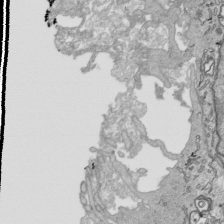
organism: Human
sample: Mitochondria in HCT116 cells